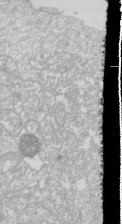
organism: Drosophila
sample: Cell division; meiosis; drosophila spermatocytes